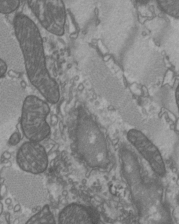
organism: C57BL Mouse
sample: Heart